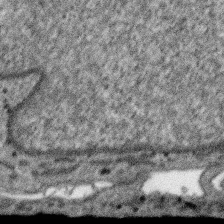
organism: Human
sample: Lung epithelial cells infected with SARS-CoV-2